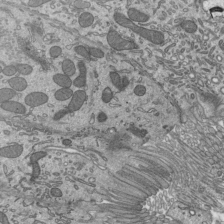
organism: Mouse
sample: Mouse epididymis efferent ductule cilia